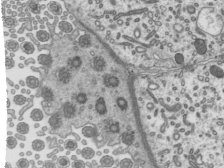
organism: Mouse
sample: Mouse epididymis efferent ductule cilia